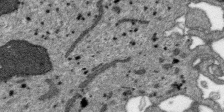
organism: Human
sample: Lung epithelial cells, uninfected (mock) control